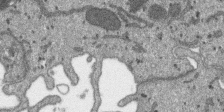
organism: Human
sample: Lung epithelial cells infected with SARS-CoV-2